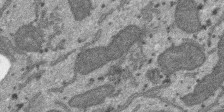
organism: Human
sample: Lung epithelial cells infected with SARS-CoV-2